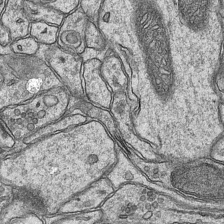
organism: Mouse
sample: CA1 Hippocampus